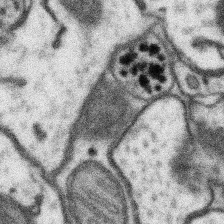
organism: Mouse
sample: Somatosensory cortex neuropil